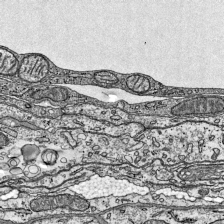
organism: Mouse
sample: Visual Cortex